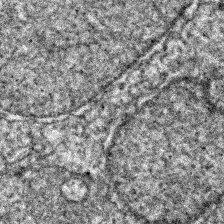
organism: Zebrafish